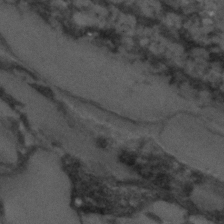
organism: C. elegans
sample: C. elegans embryo